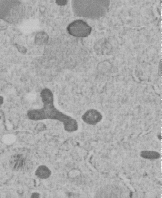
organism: C. elegans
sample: C. elegans embryo early stage